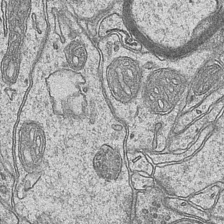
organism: Mouse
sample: CA1 Hippocampus